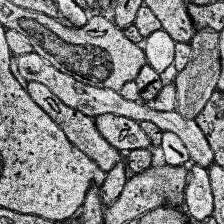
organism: Human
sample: Temporal Lobe